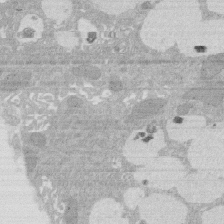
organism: Rat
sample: Salivary granule